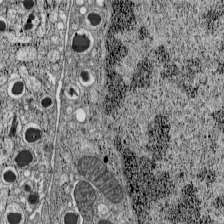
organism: C57BL Mouse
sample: Pancreatic islet